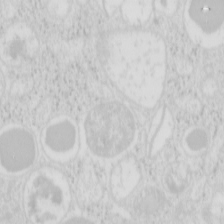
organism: Mouse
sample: Pancreas